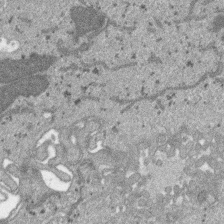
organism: Human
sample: Lung epithelial cells infected with SARS-CoV-2